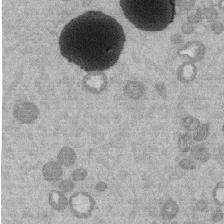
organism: Mouse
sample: Dividing mouse embryo 1 cell stage